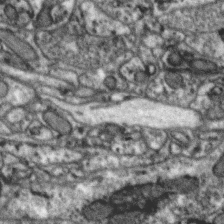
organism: Zebra finch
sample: Brain